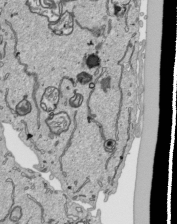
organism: Human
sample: Mitochondria in HCT116 cells